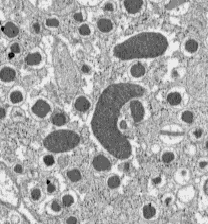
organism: C57BL Mouse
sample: Pancreatic islet